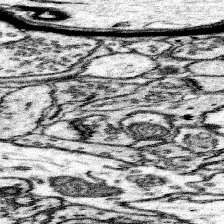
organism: Mouse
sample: Somatosensory cortex neuropil